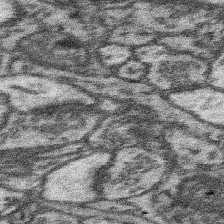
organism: Mouse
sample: Somatosensory cortex neuropil